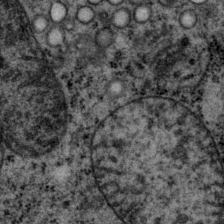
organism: P. pacificus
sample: Pharynx